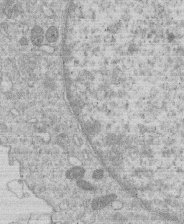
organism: Human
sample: Macrophage cells